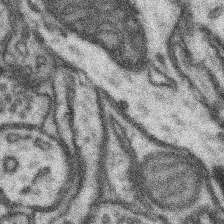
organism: Mouse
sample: Somatosensory cortex neuropil